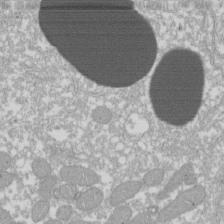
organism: Xenopus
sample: Cilia; centrioles in frog embryo cells